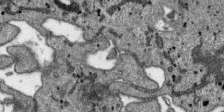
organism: Human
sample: Lung epithelial cells, uninfected (mock) control